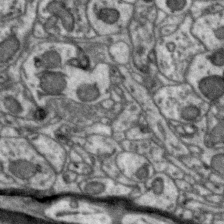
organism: Zebra finch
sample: Brain